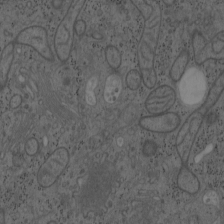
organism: Mouse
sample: OT-I killer T cells with ID8 ovarian cancer cells